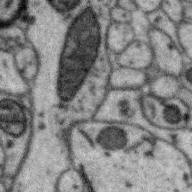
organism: Zebra finch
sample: Brain